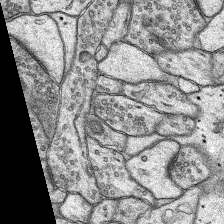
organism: Rat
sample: Hippocampus